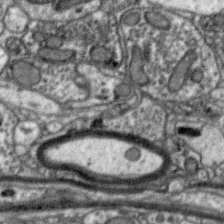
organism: Zebra finch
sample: Brain